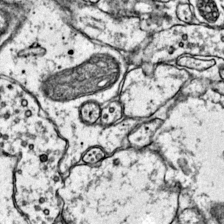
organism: Mouse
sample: Primary visual cortex